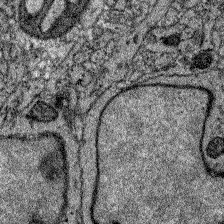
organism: Zebrafish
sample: Larval olfactory bulb